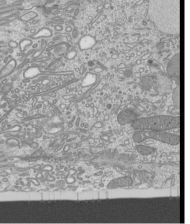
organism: Mouse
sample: Cilia; mouse epididymis